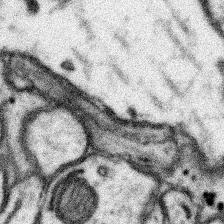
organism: Mouse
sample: Somatosensory cortex neuropil